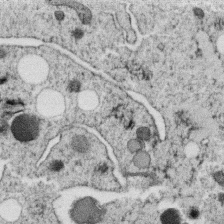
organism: C. elegans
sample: C. elegans oocyte; sperm cells